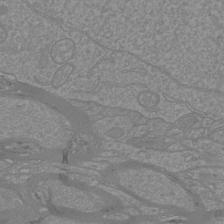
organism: Mouse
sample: Cortical neurons